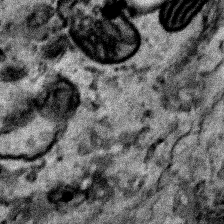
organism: Human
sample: Mitochondria in HCT116 cells